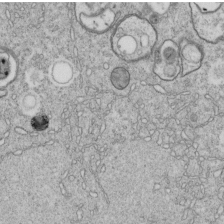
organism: C. elegans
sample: C. elegans embryo early stage